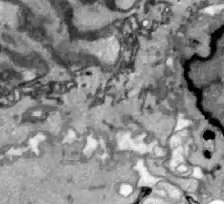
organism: Zebrafish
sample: Actinotrichia fibers